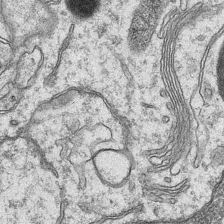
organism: Mouse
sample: CA1 Hippocampus